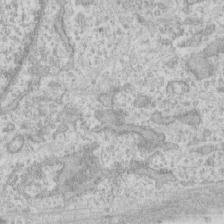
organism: Human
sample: CRL-1474